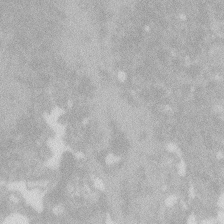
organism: Zebrafish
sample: Macrophage